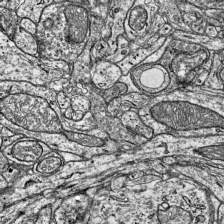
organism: Mouse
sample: Visual Cortex